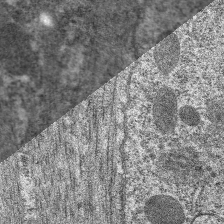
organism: C. elegans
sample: Pharynx